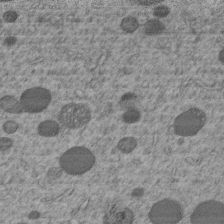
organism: C. elegans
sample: C. elegans embryo early stage